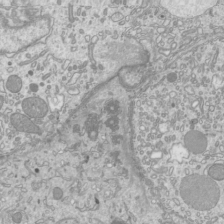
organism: Mouse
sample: Cilia; mouse epididymis